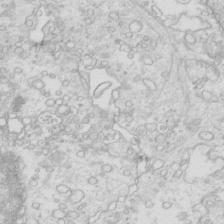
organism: Mouse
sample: Multiciliated cells